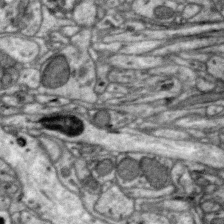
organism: Zebra finch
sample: Brain